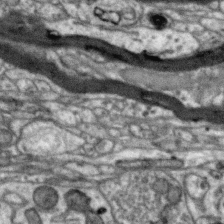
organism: Zebra finch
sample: Brain